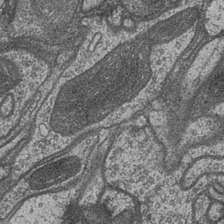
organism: Drosophila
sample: Optic medulla